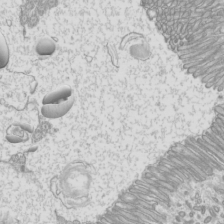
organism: Mouse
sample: Cilia; mouse epididymis